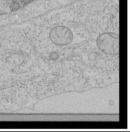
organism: Human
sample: Mitochondria in HCT116 cells